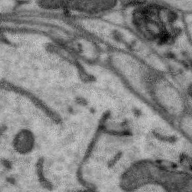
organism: Zebra finch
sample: Brain